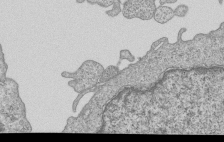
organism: Human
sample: MDA-MB-231 cells